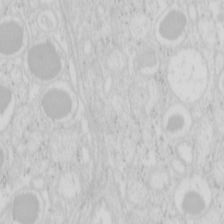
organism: Mouse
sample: Pancreas